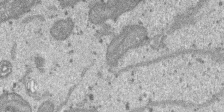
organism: Human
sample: Lung epithelial cells infected with SARS-CoV-2